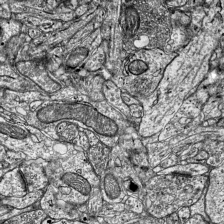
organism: Mouse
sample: Visual Cortex